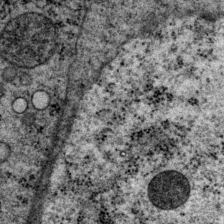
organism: P. pacificus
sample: Pharynx